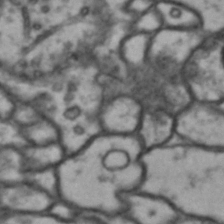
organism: Drosophila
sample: Brain